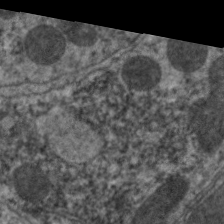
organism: C. elegans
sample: Pharynx